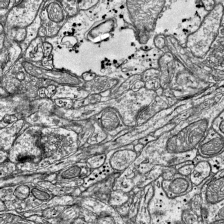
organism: Mouse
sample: Visual Cortex